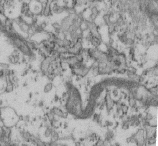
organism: Mouse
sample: Cilia; retinal pigment epithelium